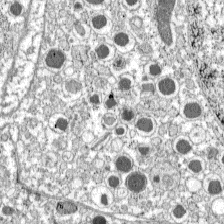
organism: C57BL Mouse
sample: Pancreatic islet